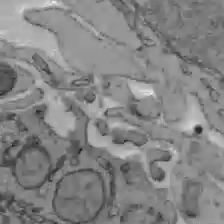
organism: C57BL Mouse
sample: Liver